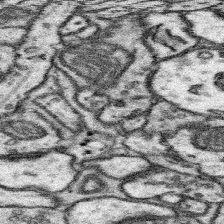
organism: Mouse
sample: Somatosensory cortex neuropil